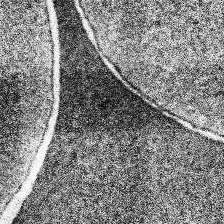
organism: Human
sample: Temporal Lobe